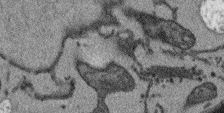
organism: Arabidopsis thaliana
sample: Root tip